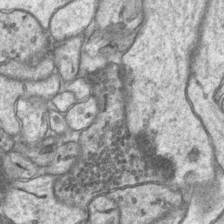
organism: Mouse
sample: CA1 Hippocampus